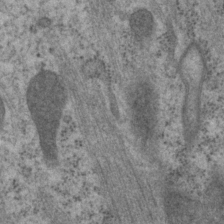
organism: P. pacificus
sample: Pharynx